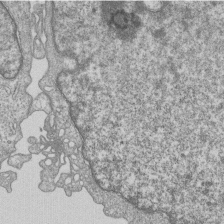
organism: Human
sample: MDA-MB-231 cells